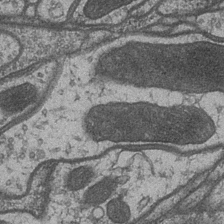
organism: Drosophila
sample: Optic medulla